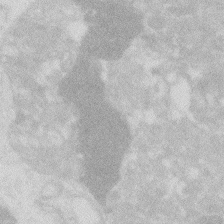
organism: Zebrafish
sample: Macrophage